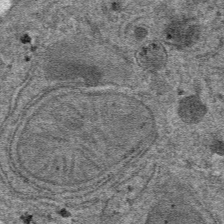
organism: Mouse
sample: Mouse hepatocytes